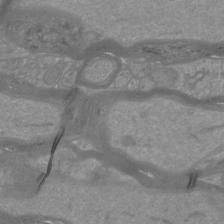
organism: Mouse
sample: Cortical neurons